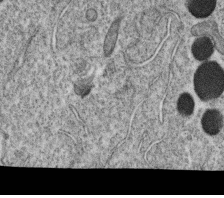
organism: C. elegans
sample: C. elegans oocyte; sperm cells